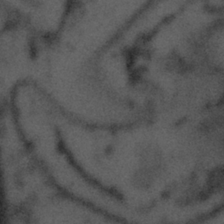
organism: Tuwongella immobilis